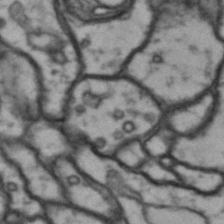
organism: Drosophila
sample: Brain